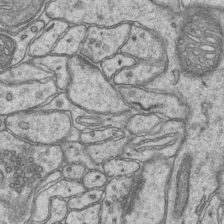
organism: Mouse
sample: CA1 Hippocampus